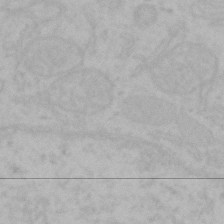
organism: Mouse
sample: Choroid plexus